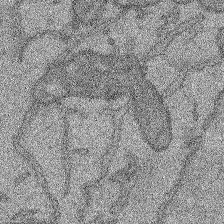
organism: Human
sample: HeLa cells